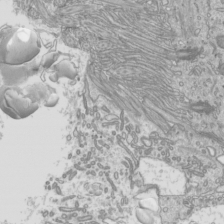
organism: Mouse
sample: Cilia; mouse epididymis